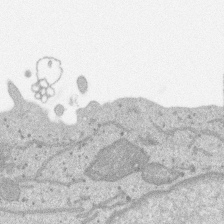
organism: Human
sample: Lung epithelial cells infected with SARS-CoV-2